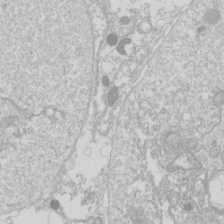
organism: Drosophila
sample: Cell division; meiosis; drosophila spermatocytes